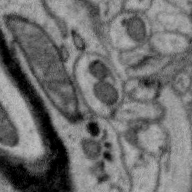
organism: Zebra finch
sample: Brain